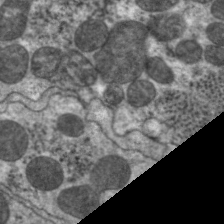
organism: C. elegans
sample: Pharynx